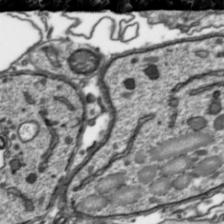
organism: Toxoplasma gondii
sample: Parasites in a vacuole inside a host cell